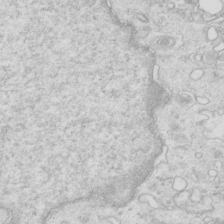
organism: Mouse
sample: Multiciliated cells